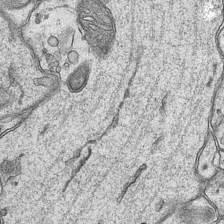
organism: Mouse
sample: CA1 Hippocampus